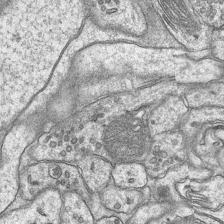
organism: Mouse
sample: CA1 Hippocampus